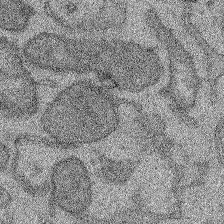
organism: Human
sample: HeLa cells